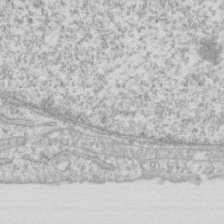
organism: Human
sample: Fibroblast cells